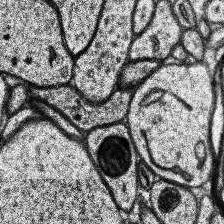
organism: Human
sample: Temporal Lobe